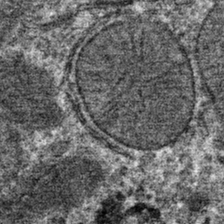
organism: Mouse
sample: Mouse hepatocytes